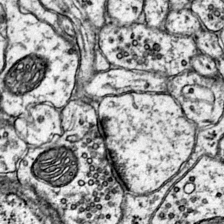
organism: Mouse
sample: Primary visual cortex